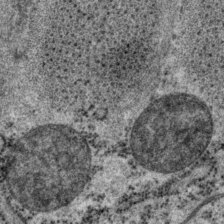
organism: P. pacificus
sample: Pharynx